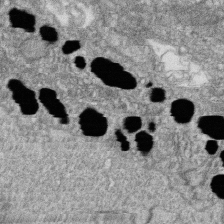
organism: Zebrafish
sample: Cilia; retinal pigment epithelium